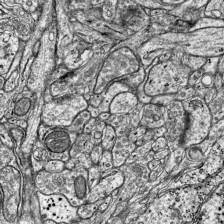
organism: Mouse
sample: Visual Cortex